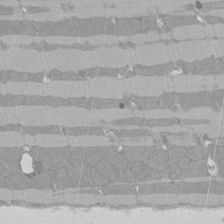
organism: Rat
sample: Left ventricle